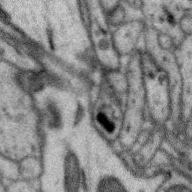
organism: Zebra finch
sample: Brain